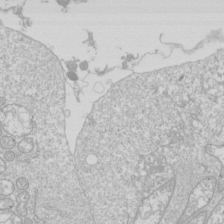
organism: Drosophila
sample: Cell division; meiosis; drosophila spermatocytes